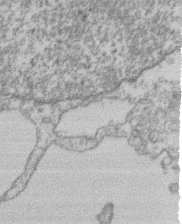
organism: Mouse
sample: T cell stromal cell synapse